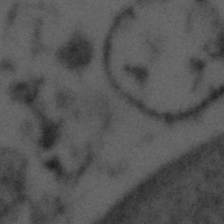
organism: Tuwongella immobilis